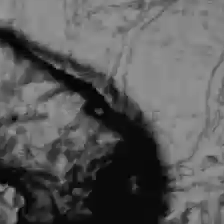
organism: C57BL Mouse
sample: Liver